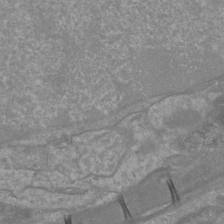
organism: Mouse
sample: Cortical neurons